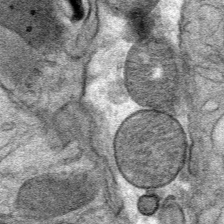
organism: Mouse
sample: Mouse Salivary gland